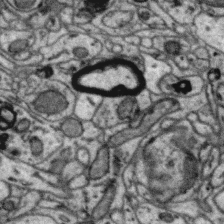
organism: Zebra finch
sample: Brain